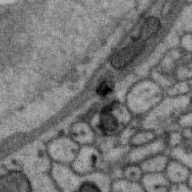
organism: Zebra finch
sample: Brain